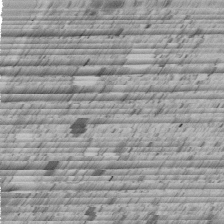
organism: C. elegans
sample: C. elegans embryo early stage